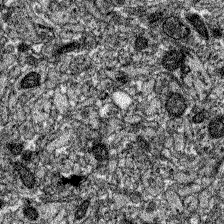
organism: Zebrafish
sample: Larval olfactory bulb